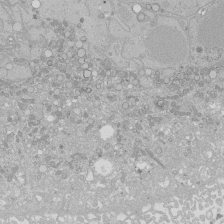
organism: Human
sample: Caco-2 cells